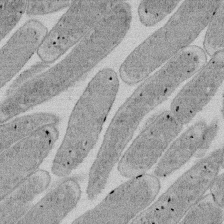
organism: E. coli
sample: Bacterial nucleoid